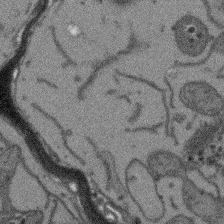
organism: Arabidopsis thaliana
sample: Root tip